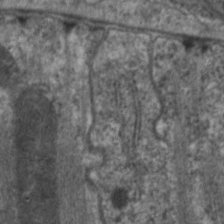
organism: C. elegans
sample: Pharynx